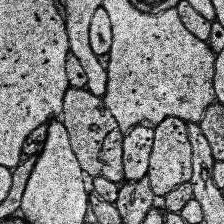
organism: Human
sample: Temporal Lobe